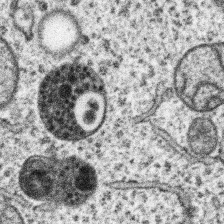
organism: Human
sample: HeLa cells